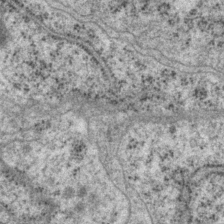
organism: P. pacificus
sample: Pharynx